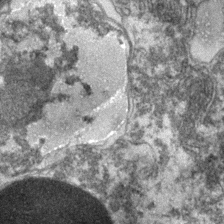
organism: Zebrafish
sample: Zebrafish embryo